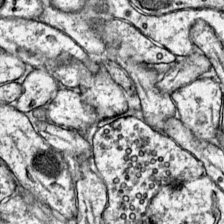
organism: Mouse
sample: Primary visual cortex